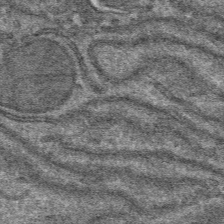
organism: Mouse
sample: Mouse hepatocytes